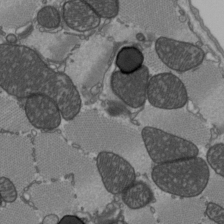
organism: C57BL Mouse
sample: Heart